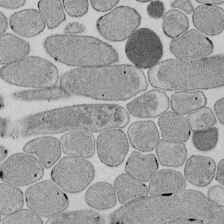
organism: E. coli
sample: Bacterial nucleoid